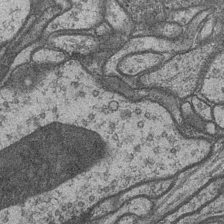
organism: Drosophila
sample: Optic medulla